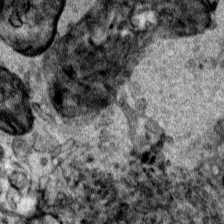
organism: Human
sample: Mitochondria in HCT116 cells